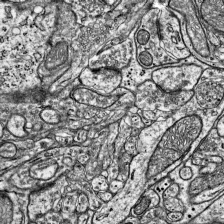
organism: Mouse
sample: Visual Cortex